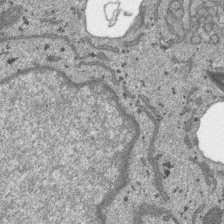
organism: Human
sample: Lung epithelial cells infected with SARS-CoV-2